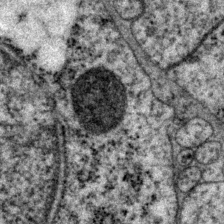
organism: P. pacificus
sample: Pharynx